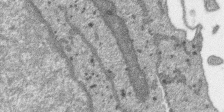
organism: Human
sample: Lung epithelial cells infected with SARS-CoV-2